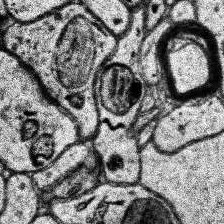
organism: Human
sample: Temporal Lobe